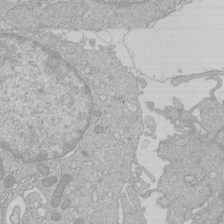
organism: Human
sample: Macrophage cells